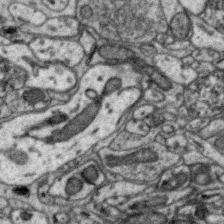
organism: Zebra finch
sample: Brain